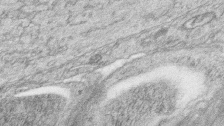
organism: Zebrafish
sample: synaptic ribbons in rod cells and cone cells